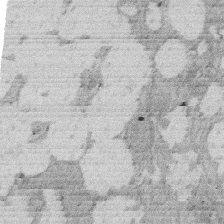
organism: Rat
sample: Salivary granule